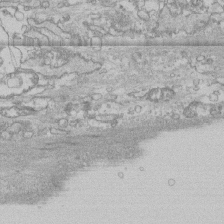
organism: Human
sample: CRL-1474